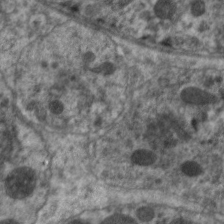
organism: C. elegans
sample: Pharynx